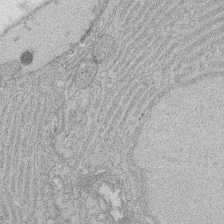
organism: Rat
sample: Salivary granule